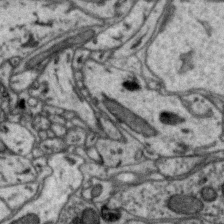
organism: Zebra finch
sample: Brain